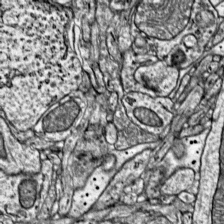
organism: Mouse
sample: Visual Cortex